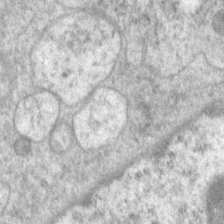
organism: P. pacificus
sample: Pharynx